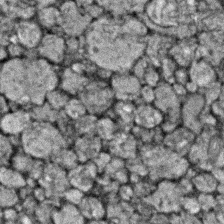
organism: Zebrafish